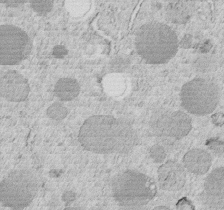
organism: C. elegans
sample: C. elegans embryo early stage